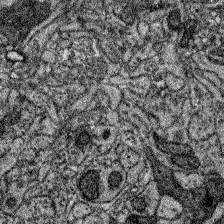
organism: Zebrafish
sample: Larval olfactory bulb